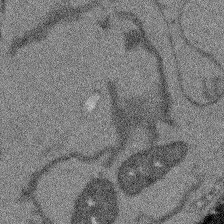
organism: Arabidopsis thaliana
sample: Root tip